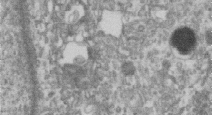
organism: Human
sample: Centriole in RPE cells